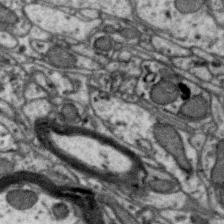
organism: Zebra finch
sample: Brain